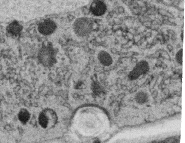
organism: C. elegans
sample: C. elegans oocyte; sperm cells